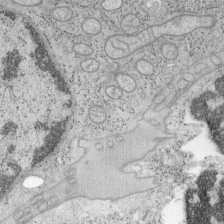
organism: Mouse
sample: OT-I killer T cells with ID8 ovarian cancer cells